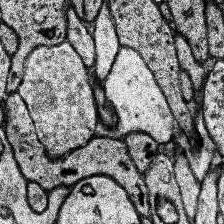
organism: Human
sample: Temporal Lobe